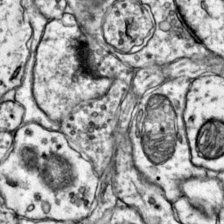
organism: Mouse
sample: Primary visual cortex